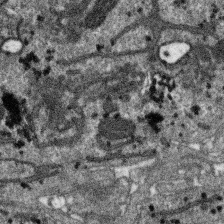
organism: Human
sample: Lung epithelial cells infected with SARS-CoV-2